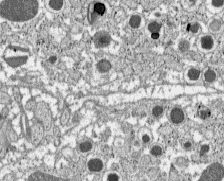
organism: C57BL Mouse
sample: Pancreatic islet